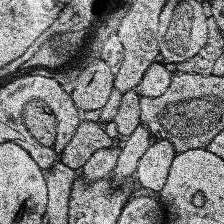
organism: Human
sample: Temporal Lobe